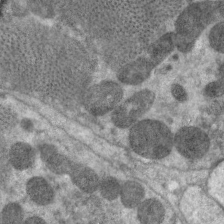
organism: C. elegans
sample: Pharynx